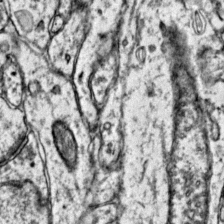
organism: Mouse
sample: Primary visual cortex